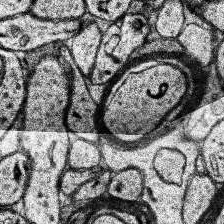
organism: Human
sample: Temporal Lobe